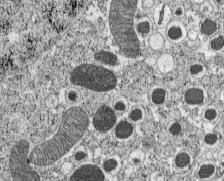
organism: C57BL Mouse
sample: Pancreatic islet